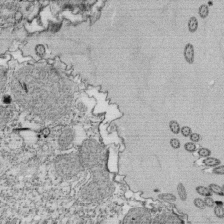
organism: Tetrahymena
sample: Cilia in tetrahymena